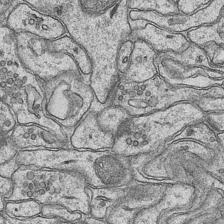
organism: Mouse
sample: CA1 Hippocampus